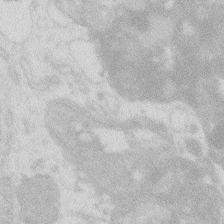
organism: Zebrafish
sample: Macrophage